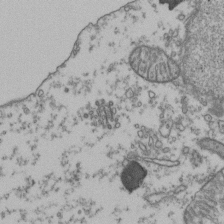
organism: Human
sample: Activated Jurkat CD4+ T cells